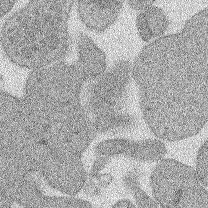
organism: Human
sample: HeLa cells